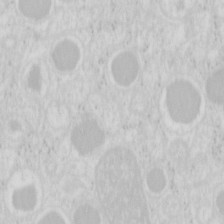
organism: Mouse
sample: Pancreas